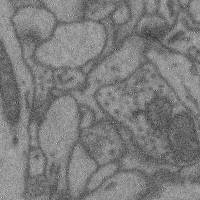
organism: Mouse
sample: Cerebral cortex